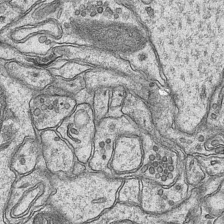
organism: Mouse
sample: CA1 Hippocampus